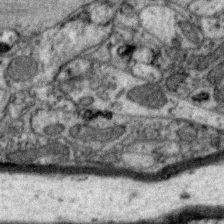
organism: Zebra finch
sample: Brain